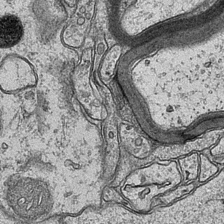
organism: Mouse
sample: CA1 Hippocampus